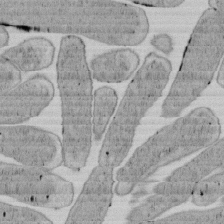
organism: E. coli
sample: Bacterial nucleoid